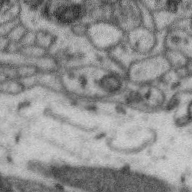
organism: Zebra finch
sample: Brain